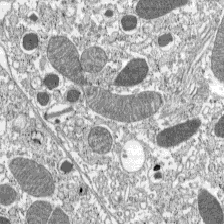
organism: C57BL Mouse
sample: Pancreatic islet